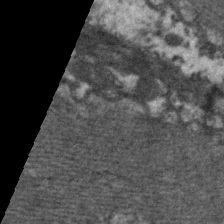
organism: C. elegans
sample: Pharynx